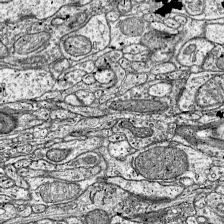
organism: Mouse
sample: Visual Cortex